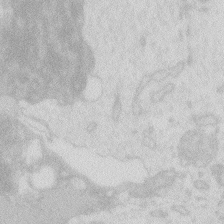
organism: Zebrafish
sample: Macrophage